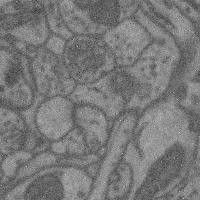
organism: Mouse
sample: Cerebral cortex